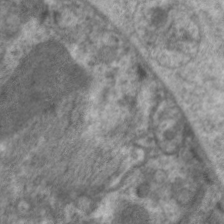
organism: C. elegans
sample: Pharynx